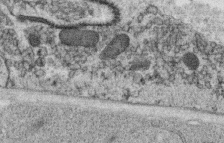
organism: C. elegans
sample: C. elegans oocyte; sperm cells